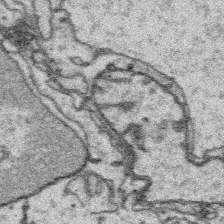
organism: Platynereis dumerilii